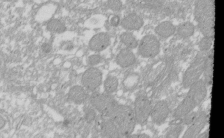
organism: Xenopus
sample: Cilia; centrioles in frog embryo cells